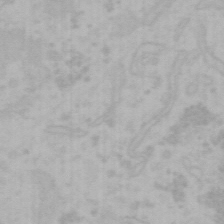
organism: Mouse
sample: Choroid plexus